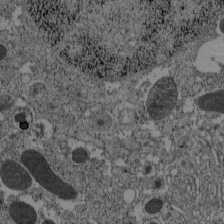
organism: C57BL Mouse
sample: Pancreatic islet